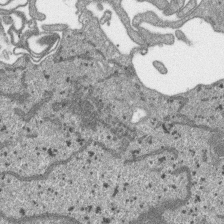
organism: Human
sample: Lung epithelial cells infected with SARS-CoV-2